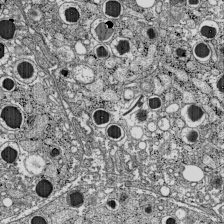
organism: C57BL Mouse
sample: Pancreatic islet